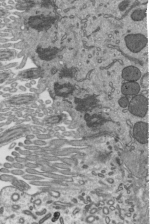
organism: Mouse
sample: Mouse epididymis efferent ductule cilia